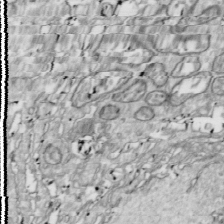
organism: Drosophila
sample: Cell division; meiosis; drosophila spermatocytes